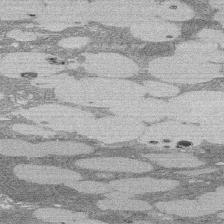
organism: Rat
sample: Salivary granule